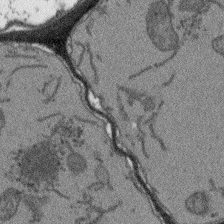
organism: Arabidopsis thaliana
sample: Root tip